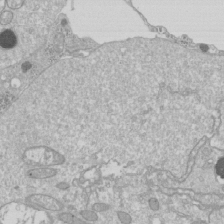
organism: Drosophila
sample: Cell division; meiosis; drosophila spermatocytes